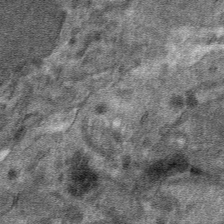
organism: Mouse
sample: Mouse hepatocytes